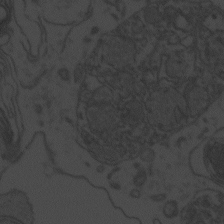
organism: Zebrafish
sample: Macrophage infected with Toxoplasma gondii